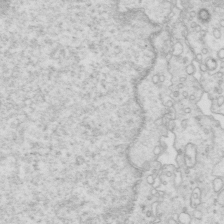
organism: Mouse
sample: Multiciliated cells